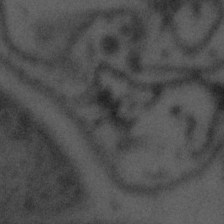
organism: Tuwongella immobilis